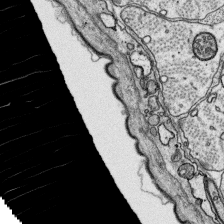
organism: Platynereis dumerilii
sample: Parapodia